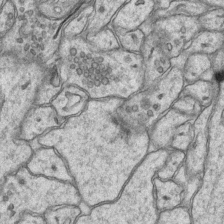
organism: Mouse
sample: CA1 Hippocampus